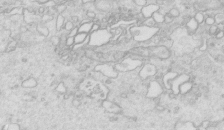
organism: Mouse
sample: Multiciliated cells